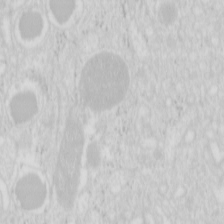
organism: Mouse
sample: Pancreas